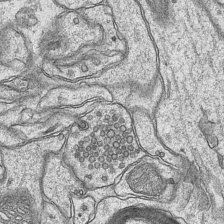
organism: Mouse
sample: CA1 Hippocampus